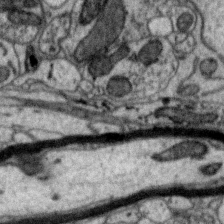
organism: Zebra finch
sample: Brain